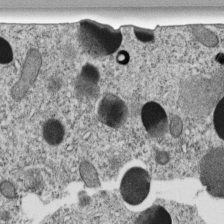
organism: C. elegans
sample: C. elegans embryo early stage